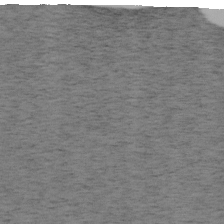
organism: Mouse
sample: OT-I killer T cells with ID8 ovarian cancer cells